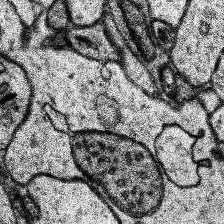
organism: Human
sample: Temporal Lobe